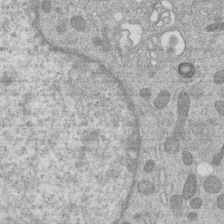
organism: Human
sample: Macrophage cells